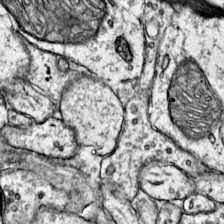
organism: Mouse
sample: Primary visual cortex